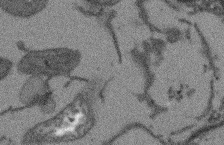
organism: Arabidopsis thaliana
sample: Root tip